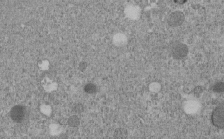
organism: C. elegans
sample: C. elegans embryo early stage